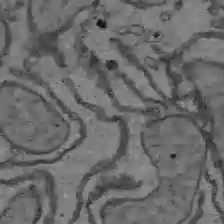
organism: C57BL Mouse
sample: Liver